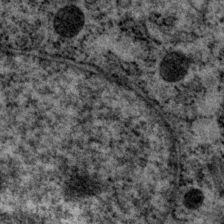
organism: P. pacificus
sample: Pharynx